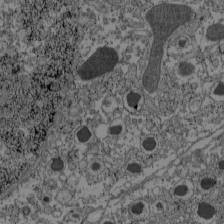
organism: C57BL Mouse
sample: Pancreatic islet